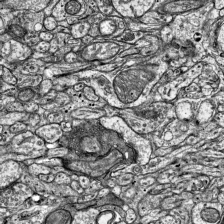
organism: Mouse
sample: Visual Cortex